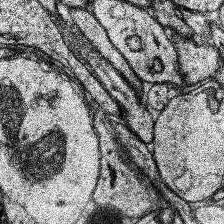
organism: Human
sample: Temporal Lobe